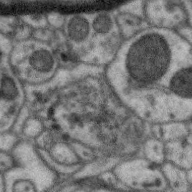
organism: Zebra finch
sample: Brain